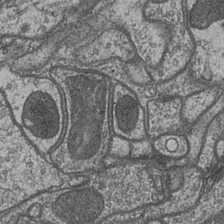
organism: Drosophila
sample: Optic medulla